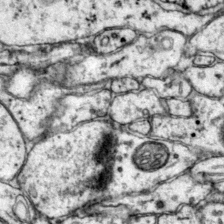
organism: Mouse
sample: Primary visual cortex